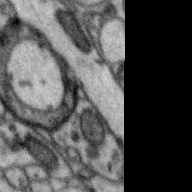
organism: Zebra finch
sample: Brain